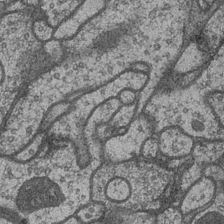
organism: Drosophila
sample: Optic medulla